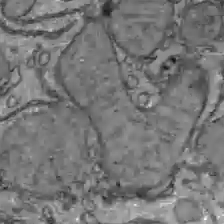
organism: C57BL Mouse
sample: Liver